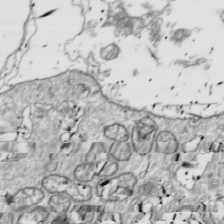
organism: Drosophila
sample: Cell division; meiosis; drosophila spermatocytes